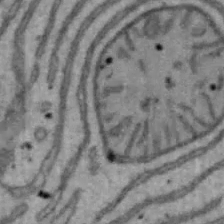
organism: Mouse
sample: Liver